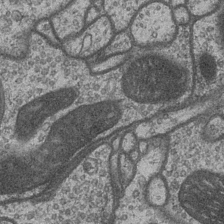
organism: Drosophila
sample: Optic medulla